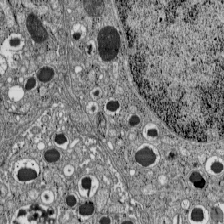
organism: C57BL Mouse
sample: Pancreatic islet